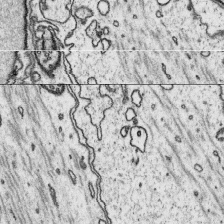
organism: Platynereis dumerilii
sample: Parapodia